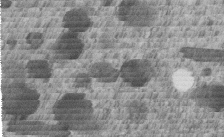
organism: C. elegans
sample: C. elegans embryo early stage